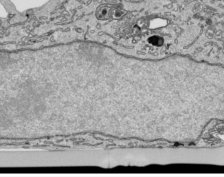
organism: Human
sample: Mitochondria in HCT116 cells